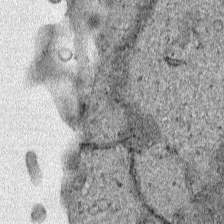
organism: Human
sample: Mitochondria in HCT116 cells